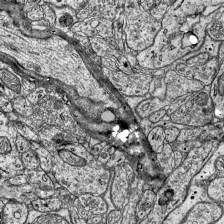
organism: Mouse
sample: Visual Cortex